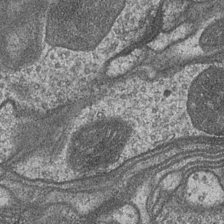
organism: Drosophila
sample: Optic medulla